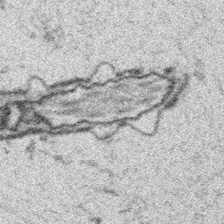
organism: Platynereis dumerilii